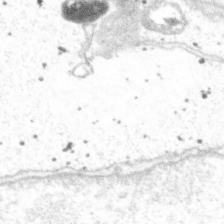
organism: Human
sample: HeLa cells